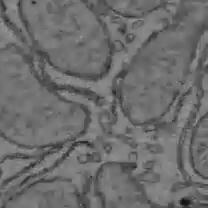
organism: C57BL Mouse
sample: Liver